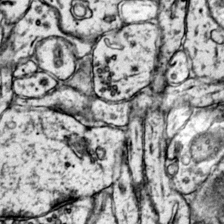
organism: Mouse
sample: Primary visual cortex